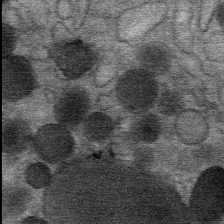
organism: Mouse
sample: Mouse Salivary gland